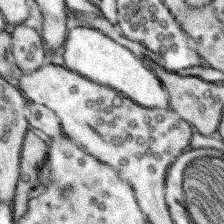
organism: Mouse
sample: Somatosensory cortex neuropil